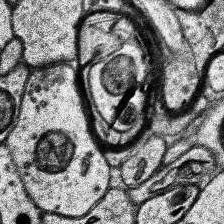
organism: Human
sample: Temporal Lobe